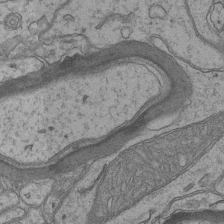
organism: Mouse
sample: CA1 Hippocampus